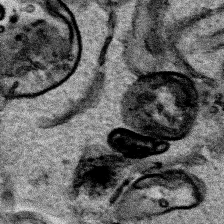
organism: Human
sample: Mitochondria in HCT116 cells